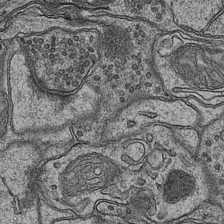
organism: Mouse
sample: CA1 Hippocampus